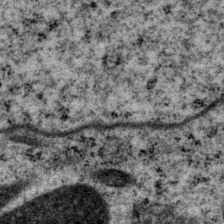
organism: P. pacificus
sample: Pharynx